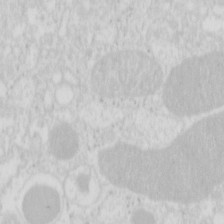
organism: Mouse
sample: Pancreas